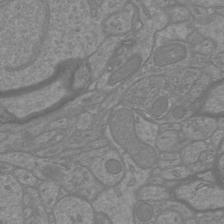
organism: Mouse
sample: Cortical neurons